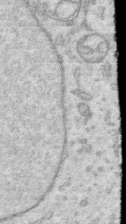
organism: Human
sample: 1205lu cells